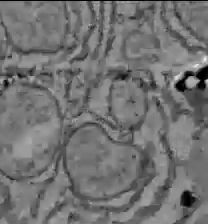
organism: C57BL Mouse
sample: Liver